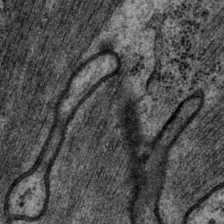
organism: P. pacificus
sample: Pharynx